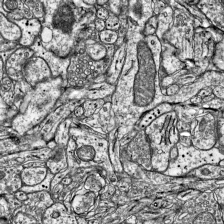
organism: Mouse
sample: Visual Cortex